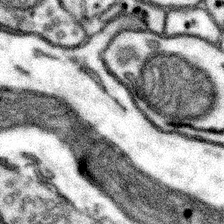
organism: Mouse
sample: Somatosensory cortex neuropil